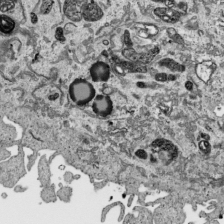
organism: Human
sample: Mitochondria in HCT116 cells